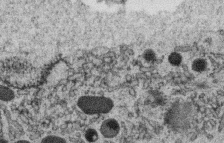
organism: C. elegans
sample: C. elegans oocyte; sperm cells